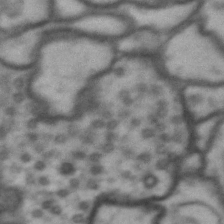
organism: Drosophila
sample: Brain